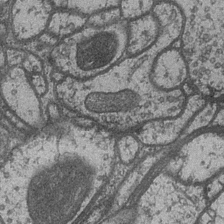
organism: Drosophila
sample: Optic medulla